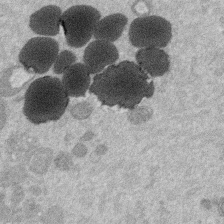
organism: Mouse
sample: Dividing mouse embryo 1 cell stage